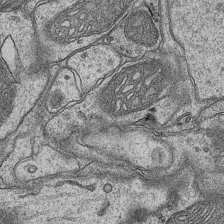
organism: Mouse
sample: CA1 Hippocampus